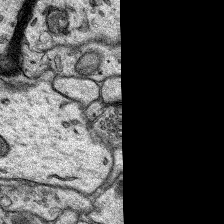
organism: Rat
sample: Hippocampus